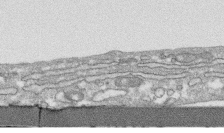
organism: Human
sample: CRL-1474